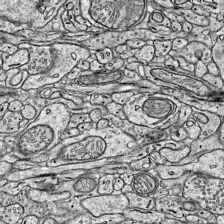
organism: Mouse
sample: Visual Cortex